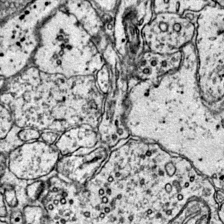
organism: Mouse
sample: Primary visual cortex